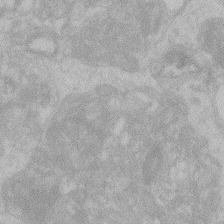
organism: Zebrafish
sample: Macrophage infected with Toxoplasma gondii